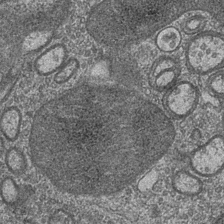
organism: Drosophila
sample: Optic medulla